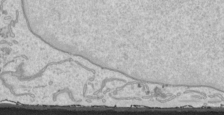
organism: Human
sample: Mitochondria in HCT116 cells